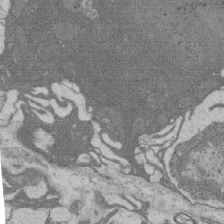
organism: Rat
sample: Salivary granule